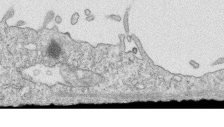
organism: Human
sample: HeLa cell HIV synapse